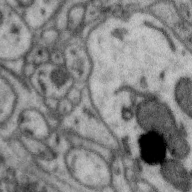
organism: Zebra finch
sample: Brain